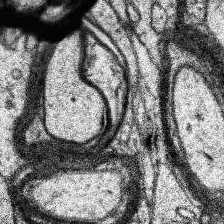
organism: Human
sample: Temporal Lobe